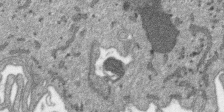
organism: Human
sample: Lung epithelial cells infected with SARS-CoV-2